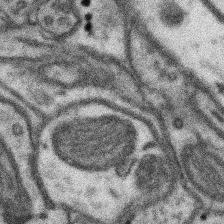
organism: Mouse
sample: Somatosensory cortex neuropil